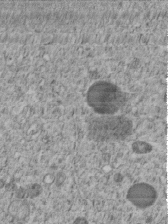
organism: C. elegans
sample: C. elegans embryo early stage